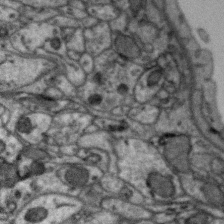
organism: Zebra finch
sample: Brain